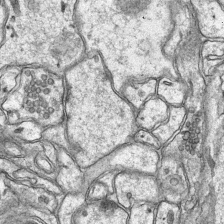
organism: Mouse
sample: CA1 Hippocampus